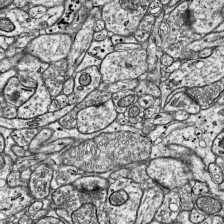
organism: Mouse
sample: Visual Cortex